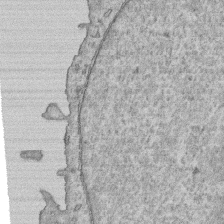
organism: Human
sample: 1205lu cells